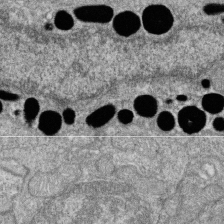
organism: Zebrafish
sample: Cilia; retinal pigment epithelium